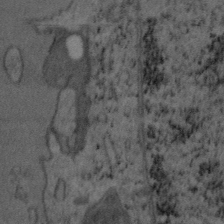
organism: Human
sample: HeLa cells